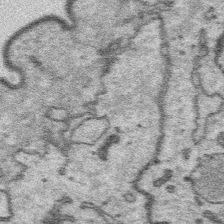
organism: Platynereis dumerilii